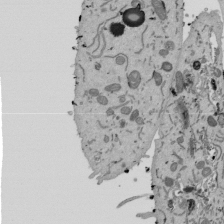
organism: Mouse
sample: ED-1 cell nuclei; centrioles